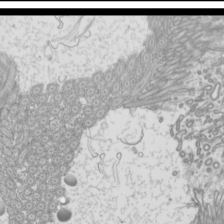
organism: Mouse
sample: Cilia; mouse epididymis